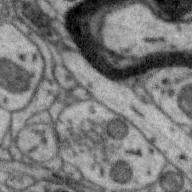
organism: Zebra finch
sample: Brain